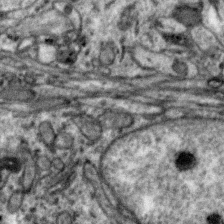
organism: Zebra finch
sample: Brain